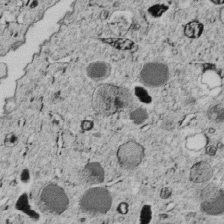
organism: C. elegans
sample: C. elegans embryo early stage